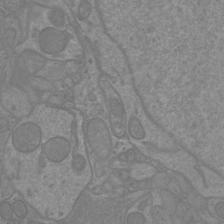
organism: Mouse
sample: Cortical neurons